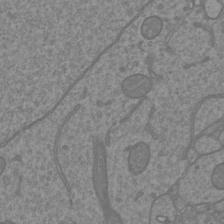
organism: Mouse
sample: Cortical neurons